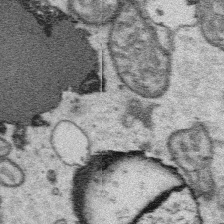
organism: Platynereis dumerilii